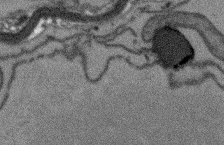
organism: Arabidopsis thaliana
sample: Root tip